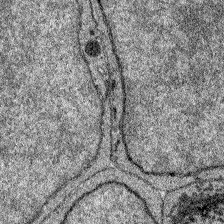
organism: Zebrafish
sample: Larval olfactory bulb